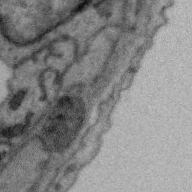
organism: Zebra finch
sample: Brain